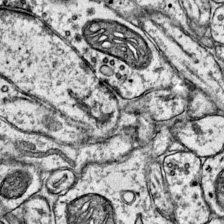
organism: Mouse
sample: Primary visual cortex